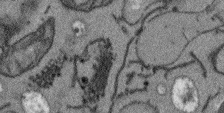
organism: Arabidopsis thaliana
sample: Root tip